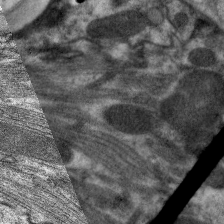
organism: C. elegans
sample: Pharynx